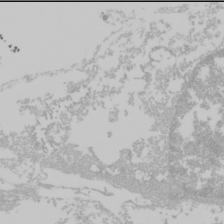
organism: Mouse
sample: Cancer cell death in ED-1 cells